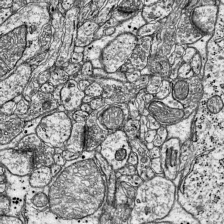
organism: Mouse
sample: Visual Cortex